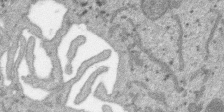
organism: Human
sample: Lung epithelial cells infected with SARS-CoV-2